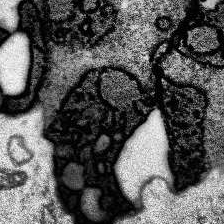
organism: Human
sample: Temporal Lobe